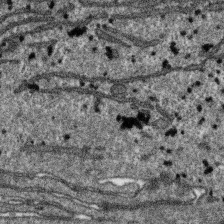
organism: Human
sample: Lung epithelial cells infected with SARS-CoV-2